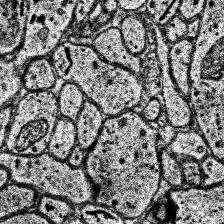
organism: Human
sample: Temporal Lobe